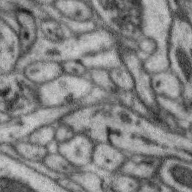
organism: Zebra finch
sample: Brain